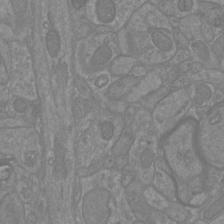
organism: Mouse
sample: Cortical neurons